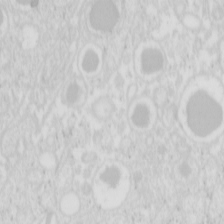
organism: Mouse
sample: Pancreas